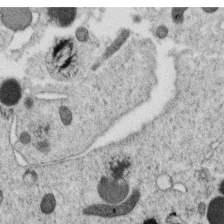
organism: C. elegans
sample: C. elegans oocyte; sperm cells